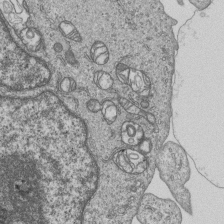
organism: Human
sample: MDA-MB-231 cells